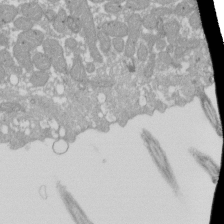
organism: Xenopus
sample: Cilia; centrioles in frog embryo cells